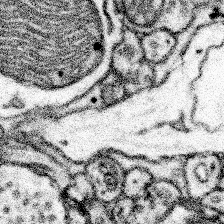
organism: Mouse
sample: Somatosensory cortex neuropil